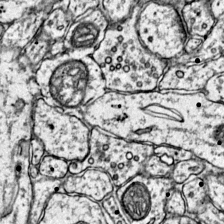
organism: Mouse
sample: Primary visual cortex